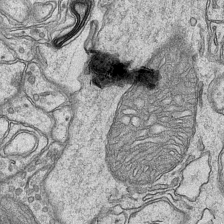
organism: Mouse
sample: CA1 Hippocampus